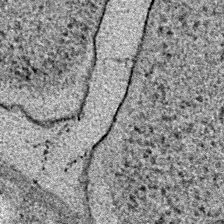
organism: E. coli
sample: E. Coli Bacteria